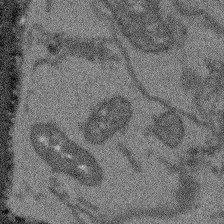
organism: Arabidopsis thaliana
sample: Root tip